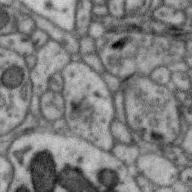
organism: Zebra finch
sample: Brain